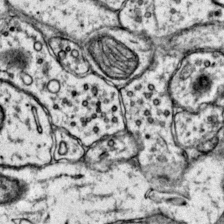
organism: Mouse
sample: Primary visual cortex